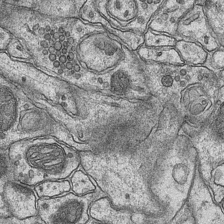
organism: Mouse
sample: CA1 Hippocampus